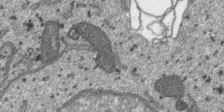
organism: Human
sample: Lung epithelial cells infected with SARS-CoV-2